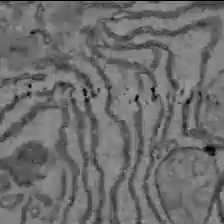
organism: C57BL Mouse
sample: Liver